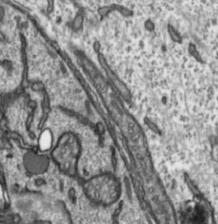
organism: Toxoplasma gondii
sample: Parasites in a vacuole inside a host cell